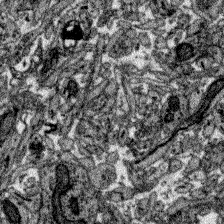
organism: Zebrafish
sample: Larval olfactory bulb